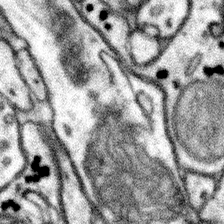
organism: Mouse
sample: Somatosensory cortex neuropil